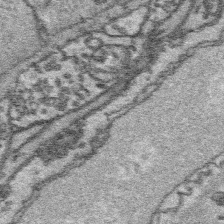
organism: Platynereis dumerilii